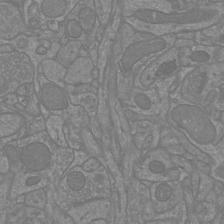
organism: Mouse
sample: Cortical neurons